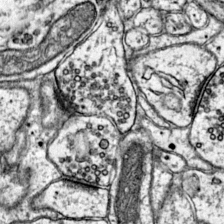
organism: Mouse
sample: Primary visual cortex